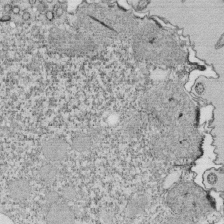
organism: Tetrahymena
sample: Cilia in tetrahymena